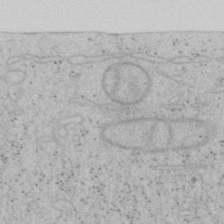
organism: Human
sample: HeLa cells